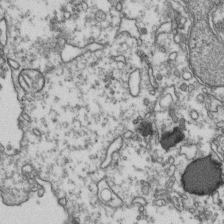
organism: Human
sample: Activated Jurkat CD4+ T cells